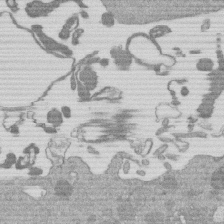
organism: Mouse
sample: Dividing mouse embryo 1 cell stage